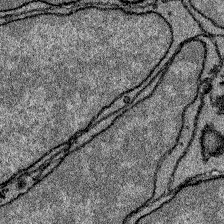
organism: Zebrafish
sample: Larval olfactory bulb